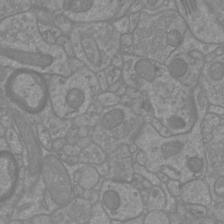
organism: Mouse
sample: Cortical neurons